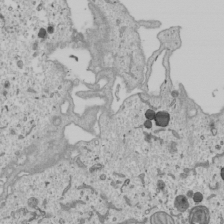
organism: Human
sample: Mitochondria in U2OS cells